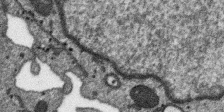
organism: Human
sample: Lung epithelial cells infected with SARS-CoV-2